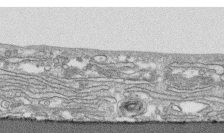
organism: Human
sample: CRL-1474